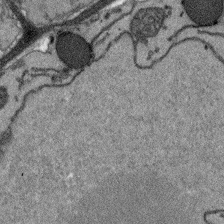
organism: Arabidopsis thaliana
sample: Root tip